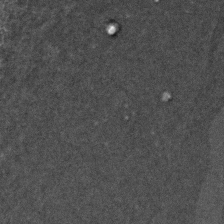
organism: C. elegans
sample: C. elegans embryo